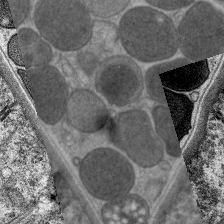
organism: C. elegans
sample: Pharynx